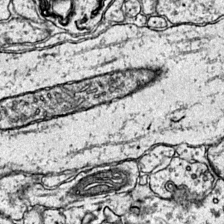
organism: Mouse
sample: Primary visual cortex